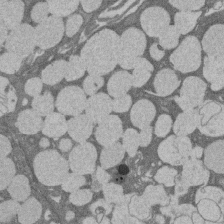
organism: Rat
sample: Salivary granule